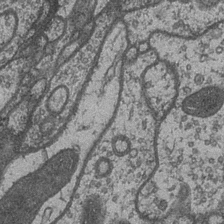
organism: Drosophila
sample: Optic medulla